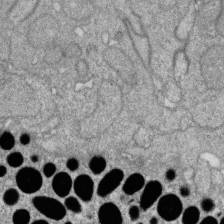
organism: Zebrafish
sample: Cilia; retinal pigment epithelium